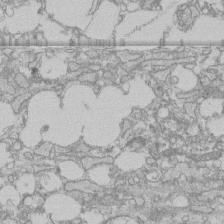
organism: Human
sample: CRL-1474